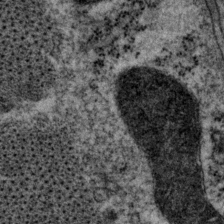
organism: P. pacificus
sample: Pharynx